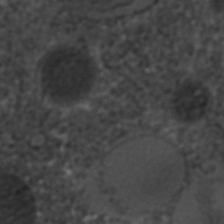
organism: C. elegans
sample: C. elegans embryo